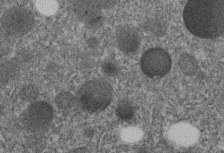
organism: C. elegans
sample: C. elegans embryo early stage